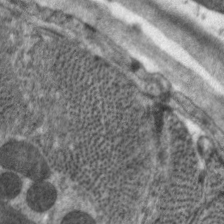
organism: C. elegans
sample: Pharynx